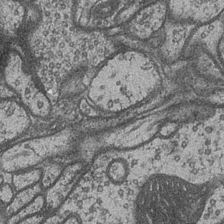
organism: Drosophila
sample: Optic medulla